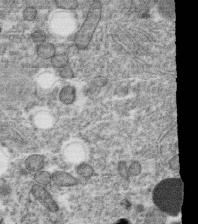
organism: C. elegans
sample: C. elegans oocyte; sperm cells